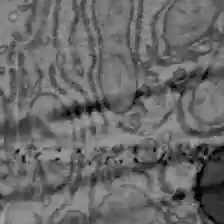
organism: C57BL Mouse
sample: Liver